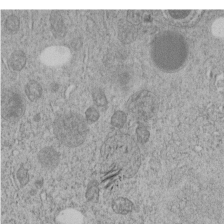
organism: C. elegans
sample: C. elegans embryo early stage